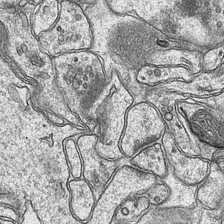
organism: Mouse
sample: CA1 Hippocampus